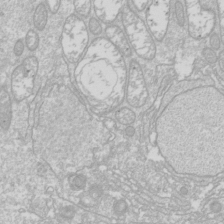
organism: Drosophila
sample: Cell division; meiosis; drosophila spermatocytes